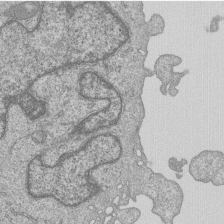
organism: Human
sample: MDA-MB-231 cells